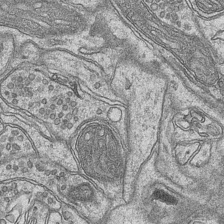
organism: Mouse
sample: CA1 Hippocampus